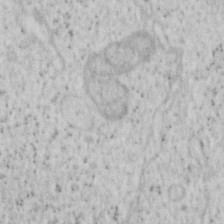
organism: Human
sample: HeLa cells